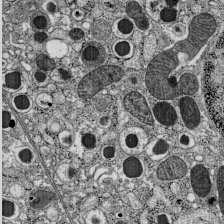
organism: C57BL Mouse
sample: Pancreatic islet